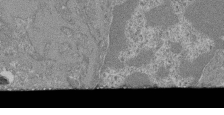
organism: Mouse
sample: Glomerulus